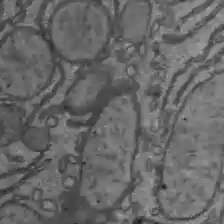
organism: C57BL Mouse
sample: Liver